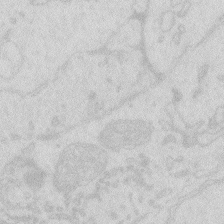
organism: Zebrafish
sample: Macrophage